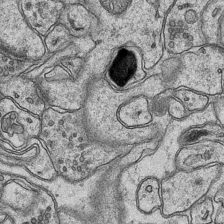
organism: Mouse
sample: CA1 Hippocampus